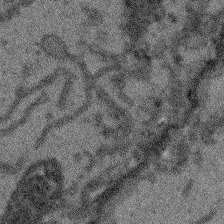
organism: Arabidopsis thaliana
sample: Root tip